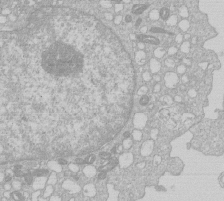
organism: Human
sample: Macrophage cells